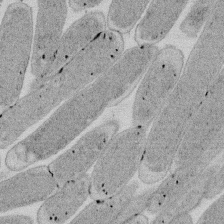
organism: E. coli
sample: Bacterial nucleoid